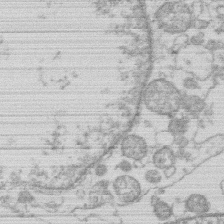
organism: Human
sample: Macrophage cells